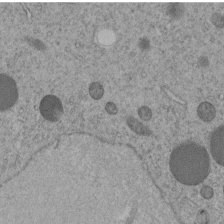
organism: C. elegans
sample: C. elegans embryo early stage